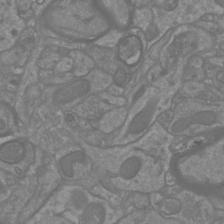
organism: Mouse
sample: Cortical neurons